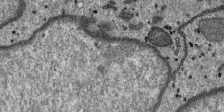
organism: Human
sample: Lung epithelial cells, uninfected (mock) control